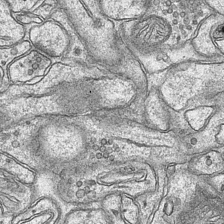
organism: Mouse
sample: CA1 Hippocampus